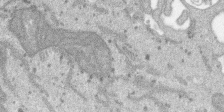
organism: Human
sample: Lung epithelial cells infected with SARS-CoV-2